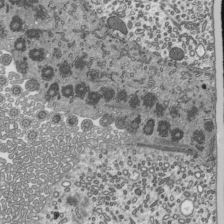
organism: Mouse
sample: Mouse epididymis efferent ductule cilia